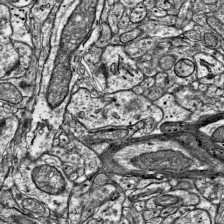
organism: Mouse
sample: Visual Cortex